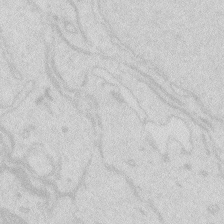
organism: Zebrafish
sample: Macrophage